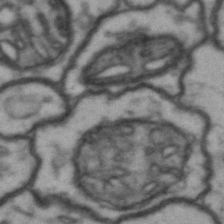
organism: Drosophila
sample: Brain